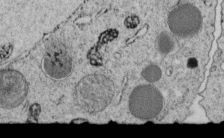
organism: C. elegans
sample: C. elegans embryo early stage